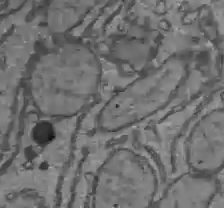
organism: C57BL Mouse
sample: Liver